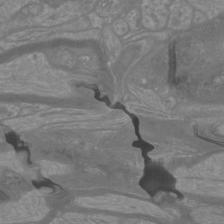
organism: Mouse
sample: Cortical neurons